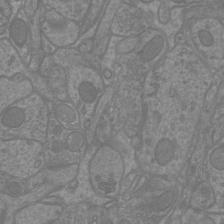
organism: Mouse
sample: Cortical neurons